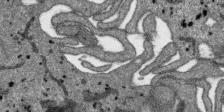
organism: Human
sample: Lung epithelial cells, uninfected (mock) control